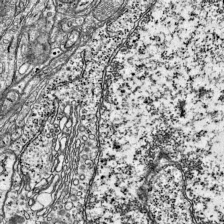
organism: Mouse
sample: Visual Cortex